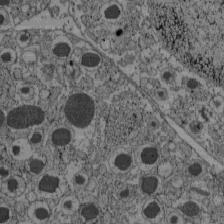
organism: C57BL Mouse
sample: Pancreatic islet